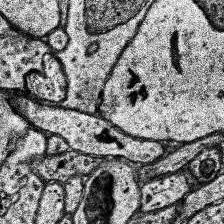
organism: Human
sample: Temporal Lobe